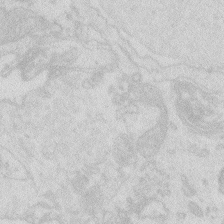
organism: Zebrafish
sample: Macrophage